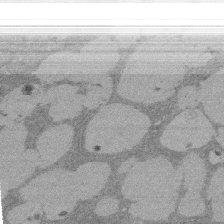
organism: Rat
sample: Salivary granule